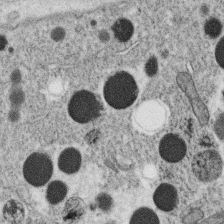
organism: C. elegans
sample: C. elegans oocyte; sperm cells